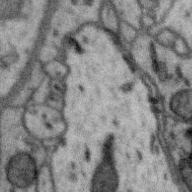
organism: Zebra finch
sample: Brain